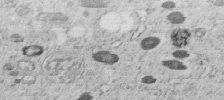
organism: C. elegans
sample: C. elegans embryo early stage